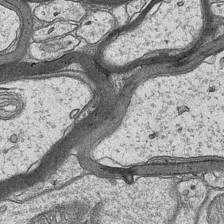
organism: Mouse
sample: CA1 Hippocampus